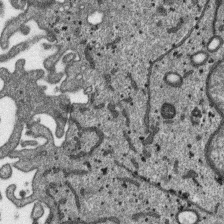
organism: Human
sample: Lung epithelial cells infected with SARS-CoV-2